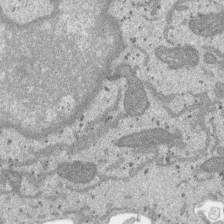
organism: Human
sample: Lung epithelial cells infected with SARS-CoV-2